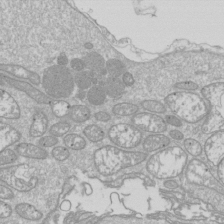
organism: Drosophila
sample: Cell division; meiosis; drosophila spermatocytes